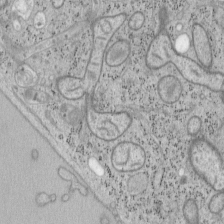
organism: Mouse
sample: OT-I killer T cells with ID8 ovarian cancer cells